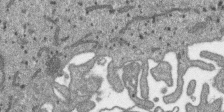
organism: Human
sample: Lung epithelial cells infected with SARS-CoV-2